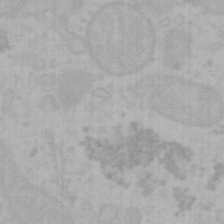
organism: Mouse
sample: Choroid plexus